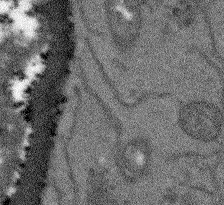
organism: Arabidopsis thaliana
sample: Root tip